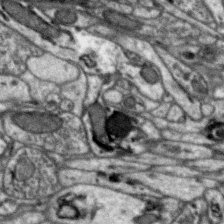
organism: Zebra finch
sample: Brain